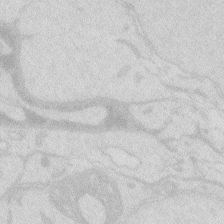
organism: Zebrafish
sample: Macrophage